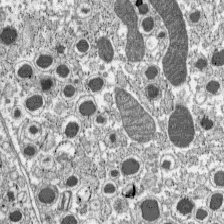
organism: C57BL Mouse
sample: Pancreatic islet